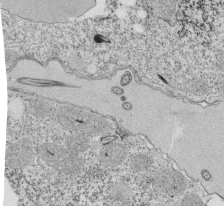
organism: Tetrahymena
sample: Cilia in tetrahymena